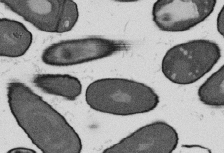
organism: B. subtilis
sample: Bacterial spore